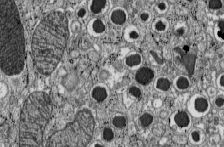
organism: C57BL Mouse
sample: Pancreatic islet